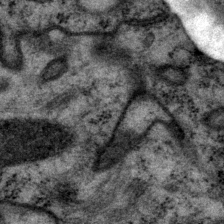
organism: P. pacificus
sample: Pharynx